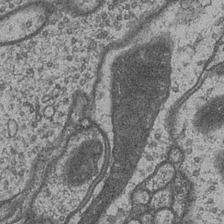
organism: Drosophila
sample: Optic medulla